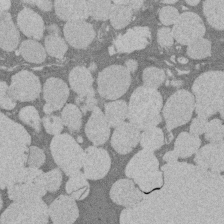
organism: Rat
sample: Salivary granule